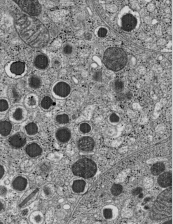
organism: C57BL Mouse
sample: Pancreatic islet